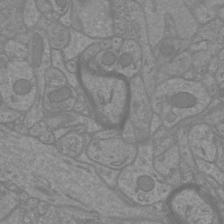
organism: Mouse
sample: Cortical neurons